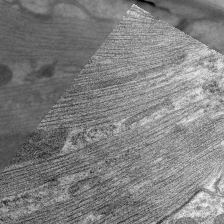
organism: C. elegans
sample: Pharynx